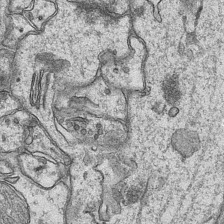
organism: Mouse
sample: CA1 Hippocampus